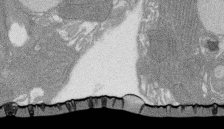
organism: Rat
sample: Salivary granule